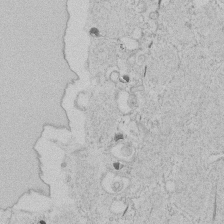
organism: Tetrahymena